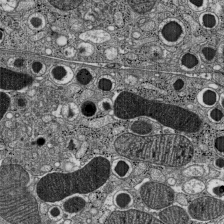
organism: C57BL Mouse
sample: Pancreatic islet